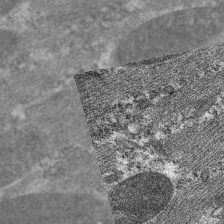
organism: C. elegans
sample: Pharynx